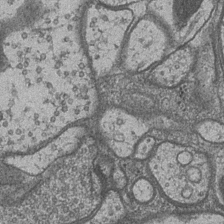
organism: Drosophila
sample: Optic medulla